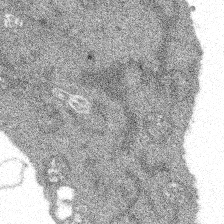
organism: Spongilla lacustris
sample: Multiple